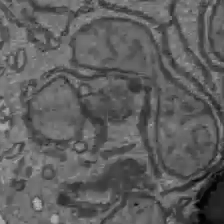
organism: C57BL Mouse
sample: Liver